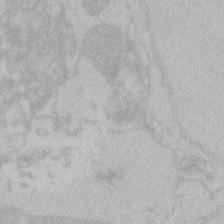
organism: Zebrafish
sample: Macrophage infected with Toxoplasma gondii